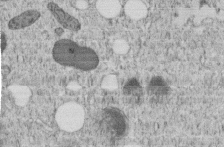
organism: C. elegans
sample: C. elegans embryo early stage